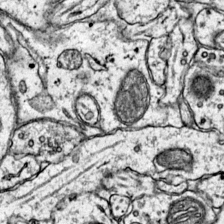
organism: Mouse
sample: Primary visual cortex